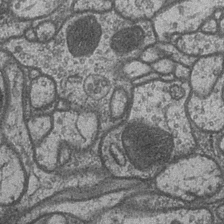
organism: Drosophila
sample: Optic medulla